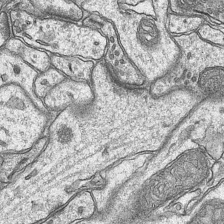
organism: Mouse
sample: CA1 Hippocampus